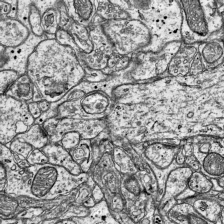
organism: Mouse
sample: Visual Cortex